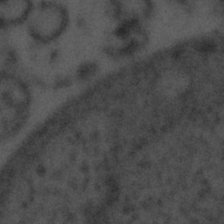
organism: Tuwongella immobilis